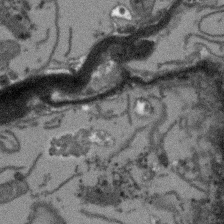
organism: Arabidopsis thaliana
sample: Root tip